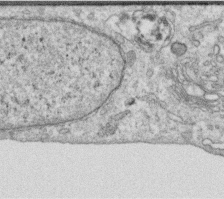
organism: Human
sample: Centriole in RPE cells